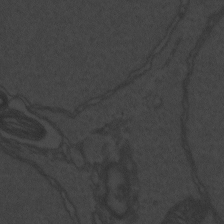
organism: Zebrafish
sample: Macrophage infected with Toxoplasma gondii